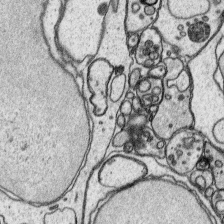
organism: Platynereis dumerilii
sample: Parapodia